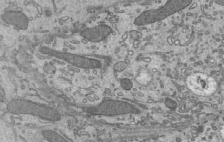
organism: Mouse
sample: Mouse epididymis efferent ductule cilia